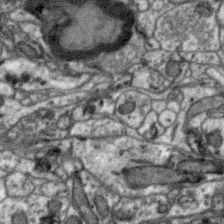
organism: Zebra finch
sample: Brain